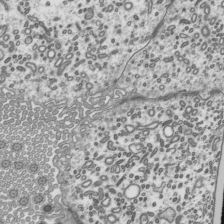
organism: Mouse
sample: Mouse epididymis efferent ductule cilia